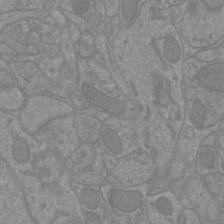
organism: Mouse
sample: Cortical neurons